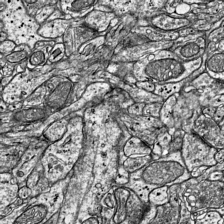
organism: Mouse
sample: Visual Cortex